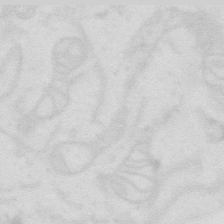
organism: Human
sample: HeLa cells